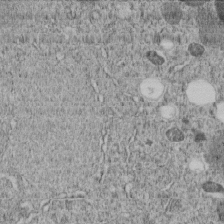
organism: C. elegans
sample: C. elegans embryo early stage